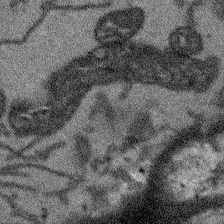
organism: Arabidopsis thaliana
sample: Root tip